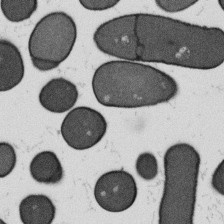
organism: B. subtilis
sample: Bacterial spore